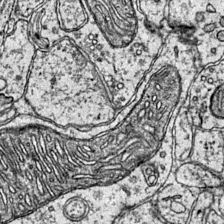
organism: Mouse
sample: Primary visual cortex